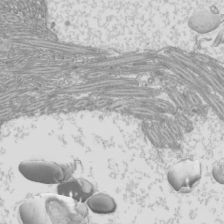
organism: Mouse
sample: Cilia; mouse epididymis